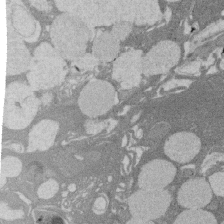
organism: Rat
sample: Salivary granule